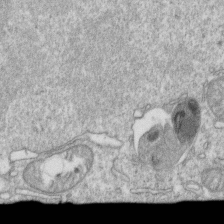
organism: Mouse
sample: Activated OT-1 CD8+ T cells